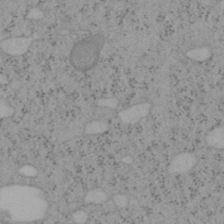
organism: Mouse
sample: OT-I killer T cells with ID8 ovarian cancer cells